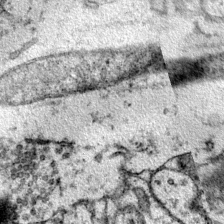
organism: Mouse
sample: Primary visual cortex